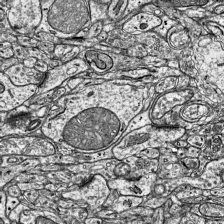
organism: Mouse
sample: Visual Cortex